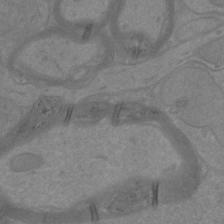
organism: Mouse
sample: Cortical neurons